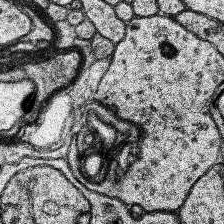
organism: Human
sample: Temporal Lobe